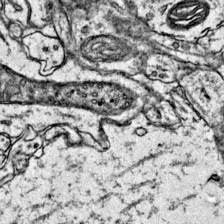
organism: Mouse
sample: Primary visual cortex